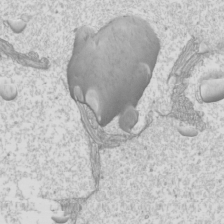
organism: Mouse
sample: Cilia; mouse epididymis